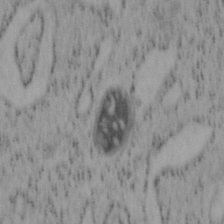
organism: Mouse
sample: OT-I killer T cells with ID8 ovarian cancer cells